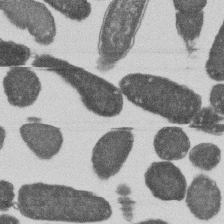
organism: E. coli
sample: Bacterial nucleoid